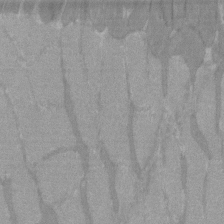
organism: C57BL Mouse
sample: Tibialis anterior muscle cell